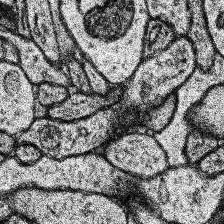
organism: Human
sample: Temporal Lobe